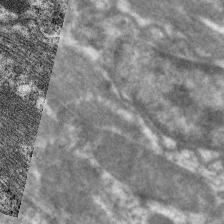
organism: C. elegans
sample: Pharynx